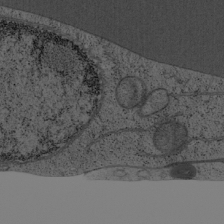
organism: African green monkey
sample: COS-7 cells